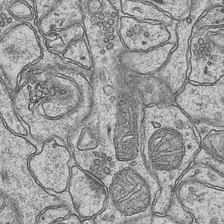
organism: Mouse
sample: CA1 Hippocampus